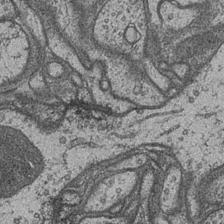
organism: Drosophila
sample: Optic medulla